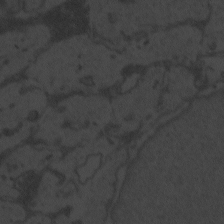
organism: Zebrafish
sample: Macrophage infected with Toxoplasma gondii